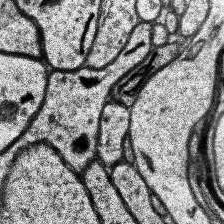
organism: Human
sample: Temporal Lobe